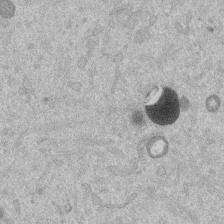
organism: Mouse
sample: Dividing mouse embryo 1 cell stage